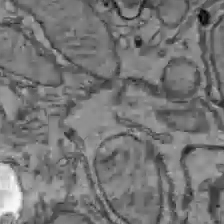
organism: C57BL Mouse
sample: Liver